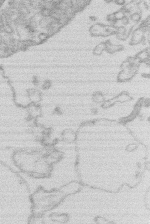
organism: Human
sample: Macrophage cells